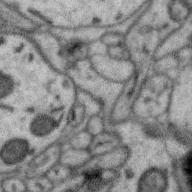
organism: Zebra finch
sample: Brain